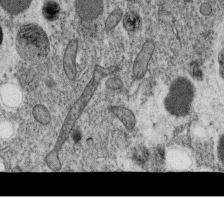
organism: C. elegans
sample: C. elegans oocyte; sperm cells